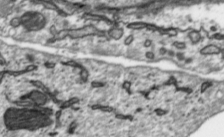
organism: Toxoplasma gondii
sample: Parasites in a vacuole inside a host cell